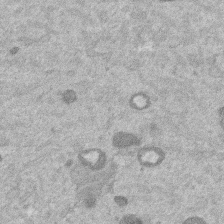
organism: Mouse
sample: Dividing mouse embryo 1 cell stage